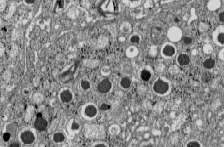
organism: C57BL Mouse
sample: Pancreatic islet